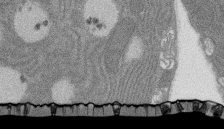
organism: Rat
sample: Salivary granule